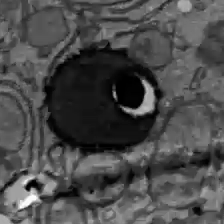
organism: C57BL Mouse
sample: Liver